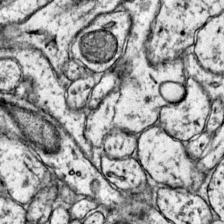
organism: Mouse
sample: Primary visual cortex